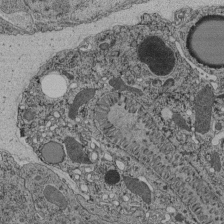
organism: C. elegans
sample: C. elegans pharynx